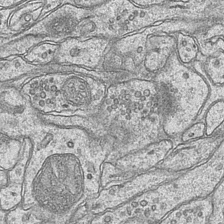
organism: Mouse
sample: CA1 Hippocampus